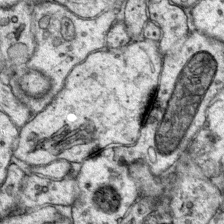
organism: Mouse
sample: Primary visual cortex